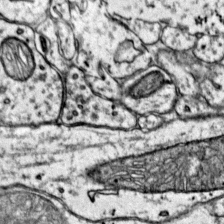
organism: Mouse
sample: Primary visual cortex